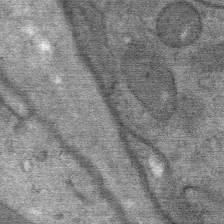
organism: Mouse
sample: Mouse Salivary gland